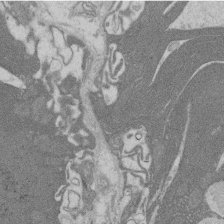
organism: Rat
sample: Salivary granule